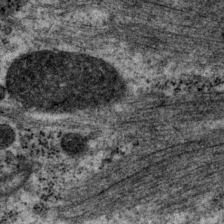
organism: P. pacificus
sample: Pharynx